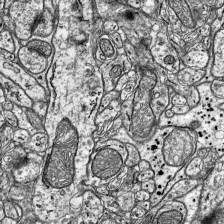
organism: Mouse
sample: Visual Cortex